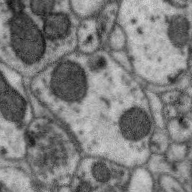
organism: Zebra finch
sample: Brain